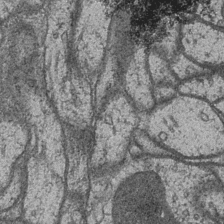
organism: Drosophila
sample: Optic medulla